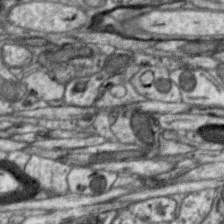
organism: Zebra finch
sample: Brain